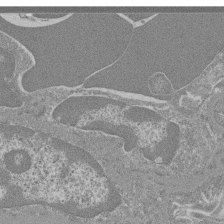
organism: Mouse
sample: Glomerulus